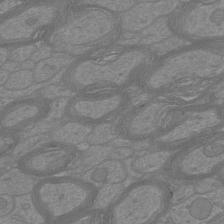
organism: Mouse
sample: Cortical neurons